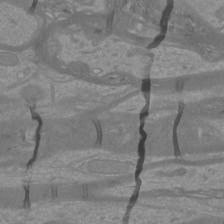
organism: Mouse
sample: Cortical neurons